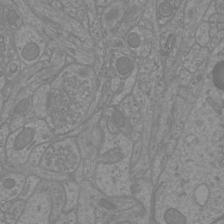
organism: Mouse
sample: Cortical neurons